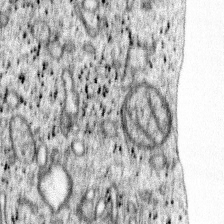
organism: Human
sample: HeLa cells